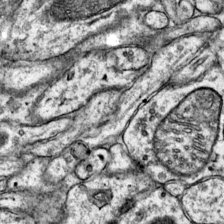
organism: Mouse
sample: Primary visual cortex